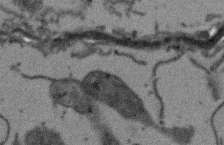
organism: Arabidopsis thaliana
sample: Root tip